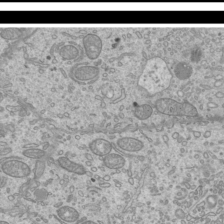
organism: Mouse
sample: Cilia; mouse epididymis